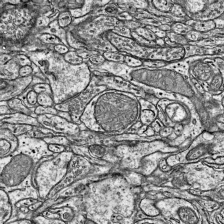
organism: Mouse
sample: Visual Cortex